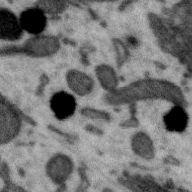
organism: Zebra finch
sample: Brain